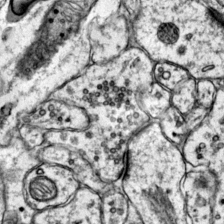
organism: Mouse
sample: Primary visual cortex